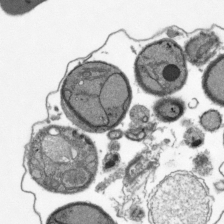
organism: Plasmodium falciparum